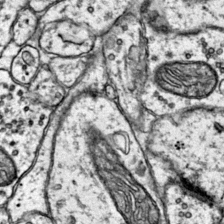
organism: Mouse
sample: Primary visual cortex